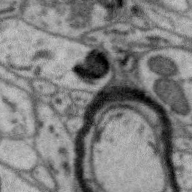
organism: Zebra finch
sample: Brain